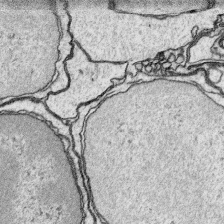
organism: Platynereis dumerilii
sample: Parapodia